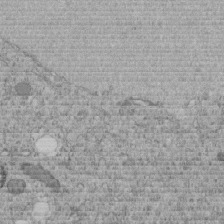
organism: C. elegans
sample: C. elegans embryo early stage